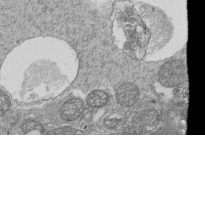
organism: Tetrahymena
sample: Cilia in tetrahymena